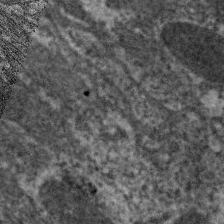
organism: C. elegans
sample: Pharynx